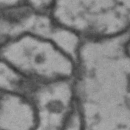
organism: Drosophila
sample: Brain